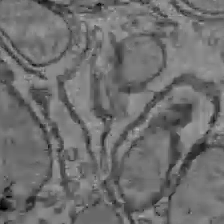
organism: C57BL Mouse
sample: Liver